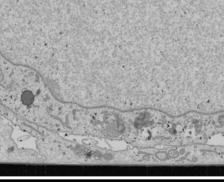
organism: Human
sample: Mitochondria in U2OS cells